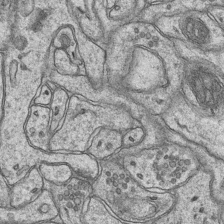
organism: Mouse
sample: CA1 Hippocampus